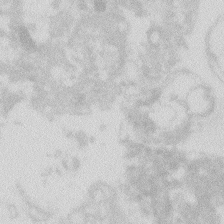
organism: Zebrafish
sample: Macrophage